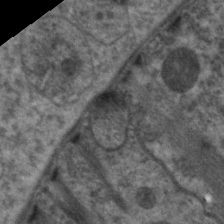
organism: C. elegans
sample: Pharynx